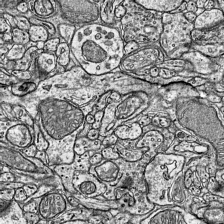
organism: Mouse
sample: Visual Cortex